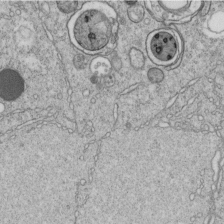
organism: C. elegans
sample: C. elegans embryo early stage